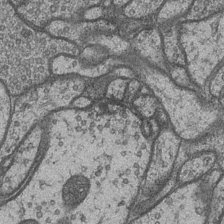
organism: Drosophila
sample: Optic medulla